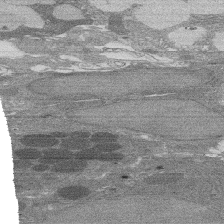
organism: Rat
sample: Salivary granule